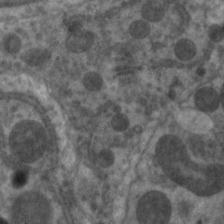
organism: C. elegans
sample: Pharynx